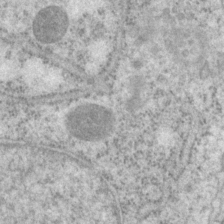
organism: P. pacificus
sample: Pharynx